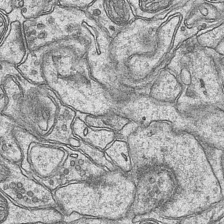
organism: Mouse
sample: CA1 Hippocampus